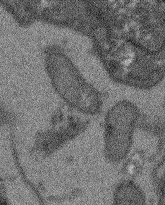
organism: Arabidopsis thaliana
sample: Root tip